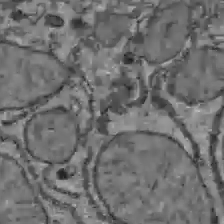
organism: C57BL Mouse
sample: Liver